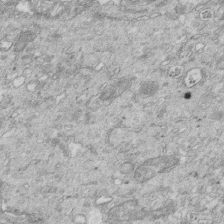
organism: Mouse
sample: Multiciliated cells